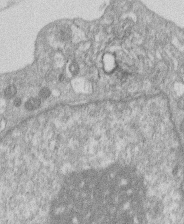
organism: Human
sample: Macrophage cells